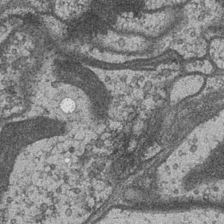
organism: Drosophila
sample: Optic medulla